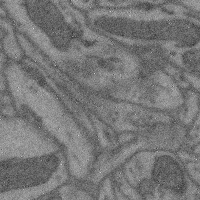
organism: Mouse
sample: Cerebral cortex